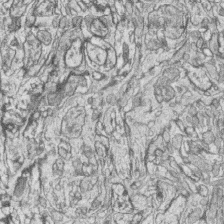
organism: Zebrafish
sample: synaptic ribbons in rod cells and cone cells